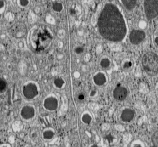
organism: C57BL Mouse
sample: Pancreatic islet